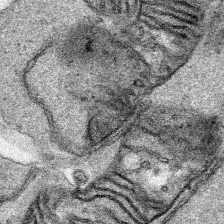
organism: Human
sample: Mitochondria in HCT116 cells